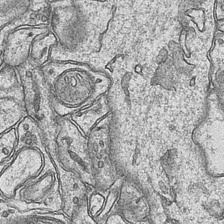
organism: Mouse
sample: CA1 Hippocampus